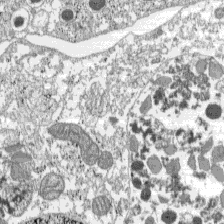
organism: C57BL Mouse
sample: Pancreatic islet